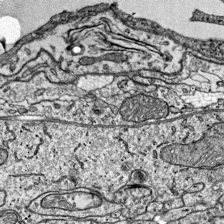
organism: Mouse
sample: Visual Cortex